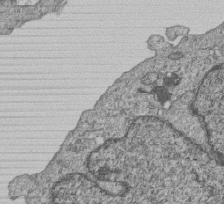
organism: Human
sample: MDA-MB-231 cells